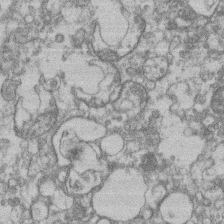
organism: Mouse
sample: T cell stromal cell synapse